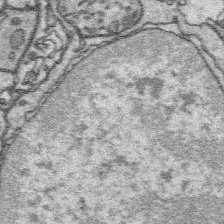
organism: Platynereis dumerilii